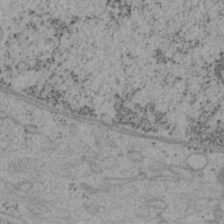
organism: Human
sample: HeLa cells